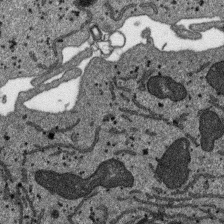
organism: Human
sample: Lung epithelial cells infected with SARS-CoV-2